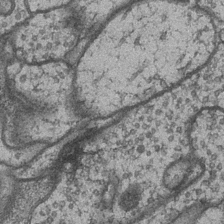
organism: Drosophila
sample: Optic medulla